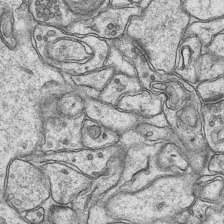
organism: Mouse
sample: CA1 Hippocampus